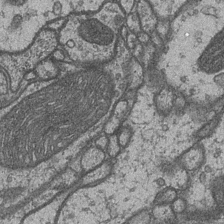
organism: Drosophila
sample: Optic medulla